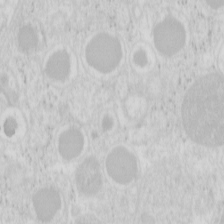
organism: Mouse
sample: Pancreas